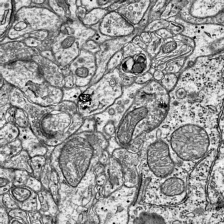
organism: Mouse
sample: Visual Cortex